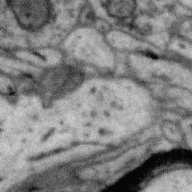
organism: Zebra finch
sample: Brain